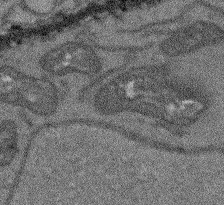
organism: Arabidopsis thaliana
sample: Root tip